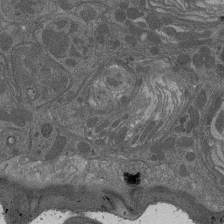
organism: Drosophila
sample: Antenna